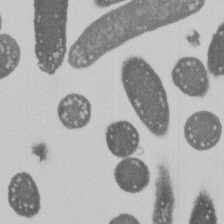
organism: E. coli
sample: Bacterial nucleoid